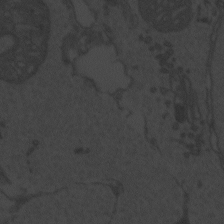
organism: Zebrafish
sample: Macrophage infected with Toxoplasma gondii